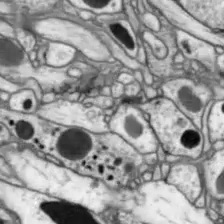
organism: Drosophila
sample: Optic lobe